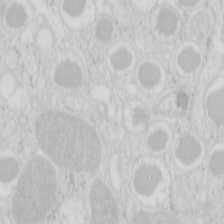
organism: Mouse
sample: Pancreas